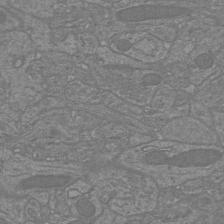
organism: Mouse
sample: Cortical neurons